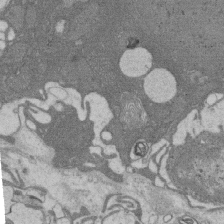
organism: Rat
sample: Salivary granule